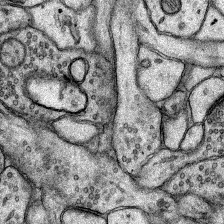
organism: Rat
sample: Hippocampus